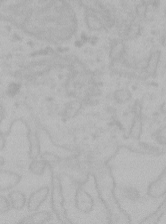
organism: Mouse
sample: Choroid plexus